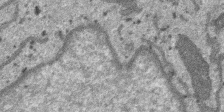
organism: Human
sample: Lung epithelial cells infected with SARS-CoV-2